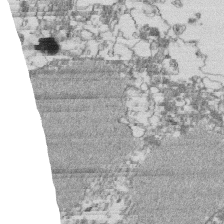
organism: Human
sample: HeLa cell HIV synapse